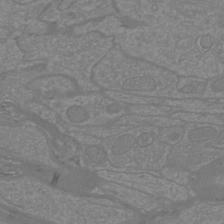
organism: Mouse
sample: Cortical neurons